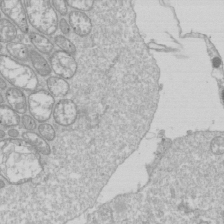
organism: Drosophila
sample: Cell division; meiosis; drosophila spermatocytes